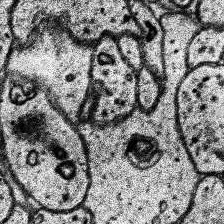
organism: Human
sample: Temporal Lobe